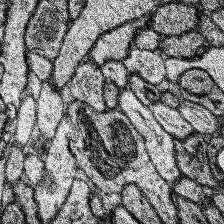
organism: Human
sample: Temporal Lobe